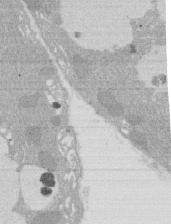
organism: Rat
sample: Salivary granule